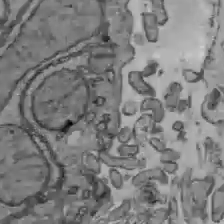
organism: C57BL Mouse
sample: Liver